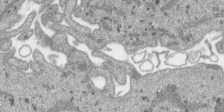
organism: Human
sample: Lung epithelial cells infected with SARS-CoV-2